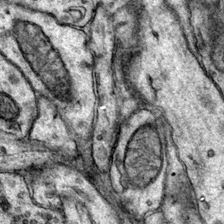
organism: Mouse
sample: Primary visual cortex